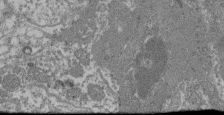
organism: Mouse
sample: Glomerulus